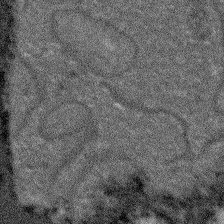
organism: Arabidopsis thaliana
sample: Root tip